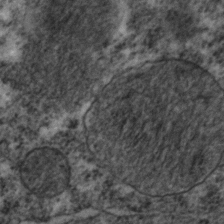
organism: C. elegans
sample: C. elegans embryo